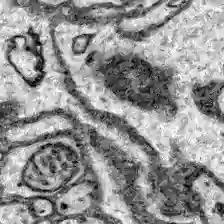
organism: Zebrafish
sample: Brain